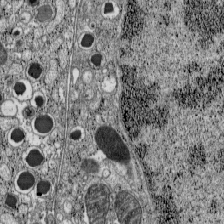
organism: C57BL Mouse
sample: Pancreatic islet